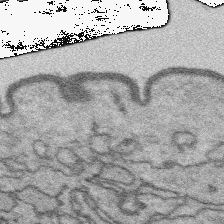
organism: Platynereis dumerilii